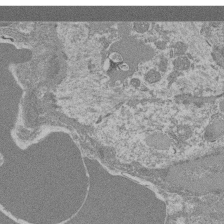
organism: Mouse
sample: Glomerulus